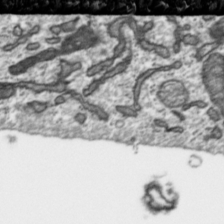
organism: Toxoplasma gondii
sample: Parasites in a vacuole inside a host cell